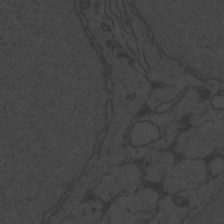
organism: Zebrafish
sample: Macrophage infected with Toxoplasma gondii